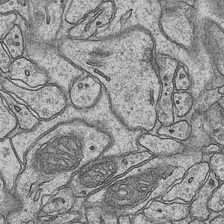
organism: Mouse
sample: CA1 Hippocampus